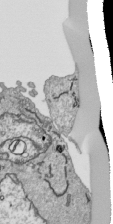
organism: Human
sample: Mitochondria in HCT116 cells